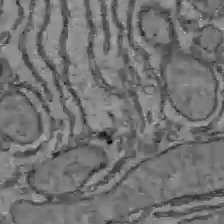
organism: C57BL Mouse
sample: Liver